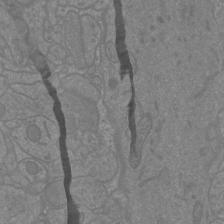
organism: Mouse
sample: Cortical neurons